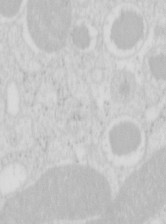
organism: Mouse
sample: Pancreas